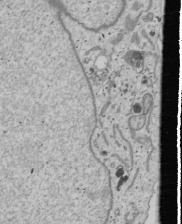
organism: Human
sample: Mitochondria in U2OS cells